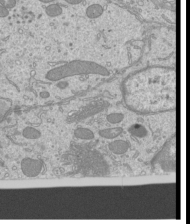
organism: Mouse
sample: Cilia; mouse epididymis